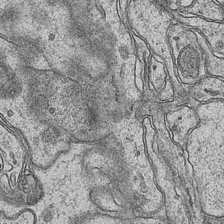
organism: Mouse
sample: CA1 Hippocampus